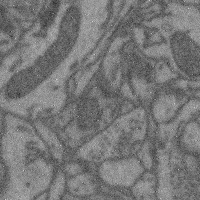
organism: Mouse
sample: Cerebral cortex